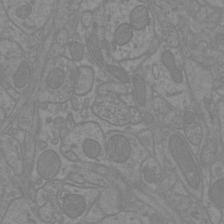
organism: Mouse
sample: Cortical neurons